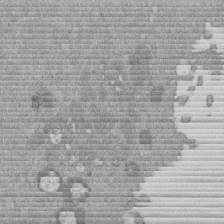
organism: Mouse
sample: Dividing mouse embryo 1 cell stage